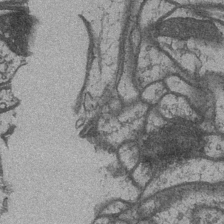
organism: Drosophila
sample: Optic medulla